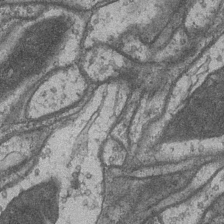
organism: Drosophila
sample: Optic medulla